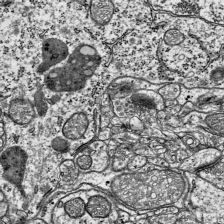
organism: Mouse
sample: Visual Cortex